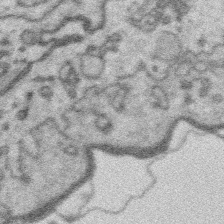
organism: Platynereis dumerilii